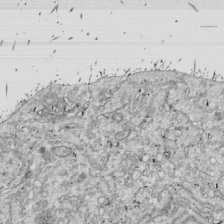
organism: Drosophila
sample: Cell division; meiosis; drosophila spermatocytes